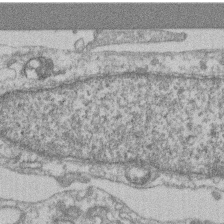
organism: Mouse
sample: T cell stromal cell synapse